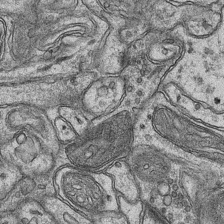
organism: Mouse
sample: CA1 Hippocampus